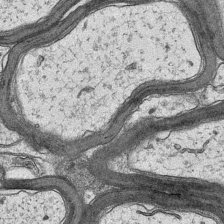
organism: Mouse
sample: CA1 Hippocampus